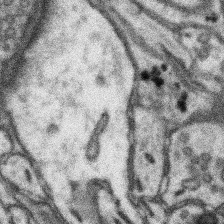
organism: Mouse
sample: Somatosensory cortex neuropil